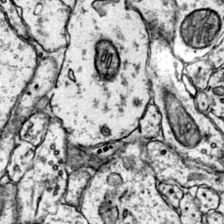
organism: Mouse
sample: Primary visual cortex